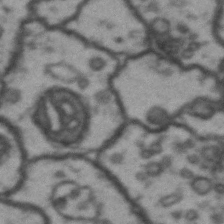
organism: Drosophila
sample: Brain